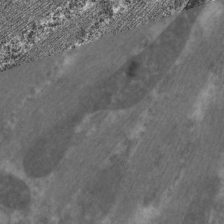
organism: C. elegans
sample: Pharynx